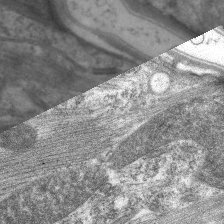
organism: C. elegans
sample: Pharynx